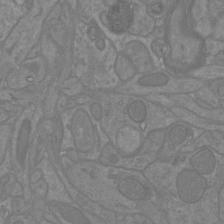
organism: Mouse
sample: Cortical neurons